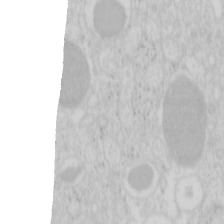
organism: Mouse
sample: Pancreas